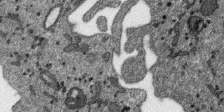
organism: Human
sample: Lung epithelial cells infected with SARS-CoV-2